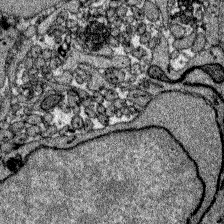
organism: Zebrafish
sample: Larval olfactory bulb